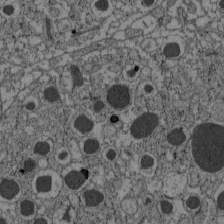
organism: C57BL Mouse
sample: Pancreatic islet